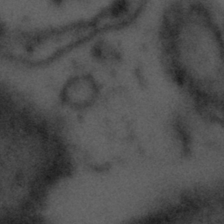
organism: Tuwongella immobilis